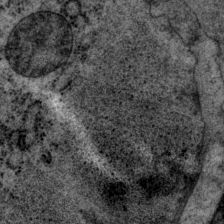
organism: P. pacificus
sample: Pharynx